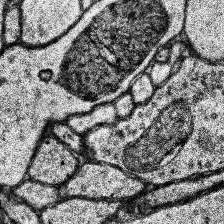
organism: Human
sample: Temporal Lobe